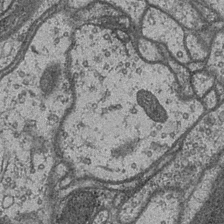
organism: Drosophila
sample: Optic medulla